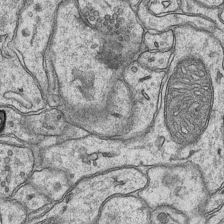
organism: Mouse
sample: CA1 Hippocampus